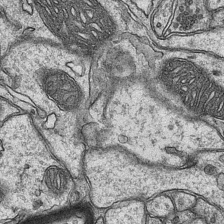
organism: Mouse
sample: CA1 Hippocampus